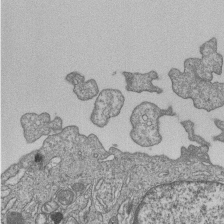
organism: Human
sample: MDA-MB-231 cells